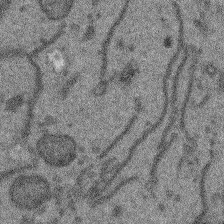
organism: Arabidopsis thaliana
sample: Root tip